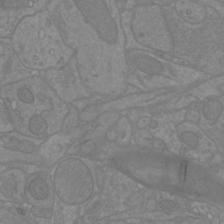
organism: Mouse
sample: Cortical neurons